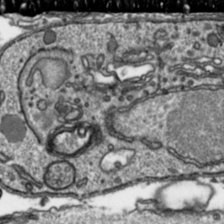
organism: Toxoplasma gondii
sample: Parasites in a vacuole inside a host cell